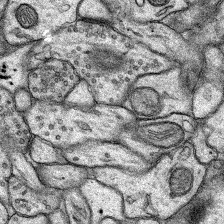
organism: Rat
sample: Hippocampus